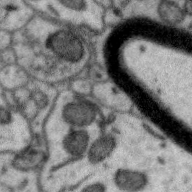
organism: Zebra finch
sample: Brain